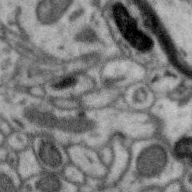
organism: Zebra finch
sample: Brain